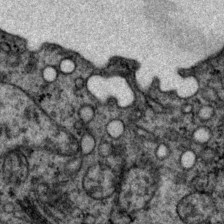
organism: P. pacificus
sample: Pharynx